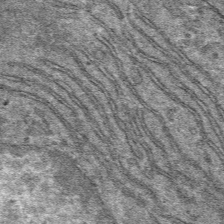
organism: Mouse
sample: Mouse hepatocytes